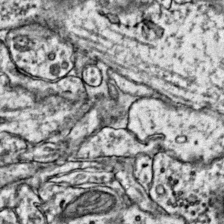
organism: Mouse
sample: Primary visual cortex